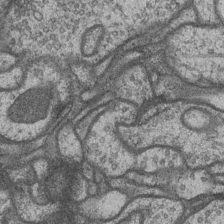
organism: Drosophila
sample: Optic medulla